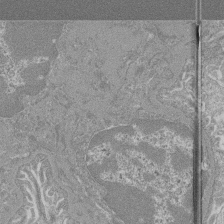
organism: Mouse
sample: Glomerulus